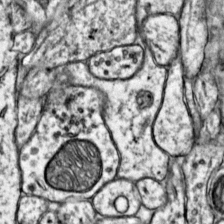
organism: Mouse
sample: Primary visual cortex